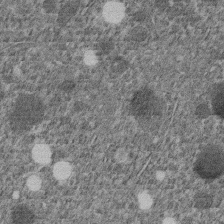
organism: C. elegans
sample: C. elegans embryo early stage